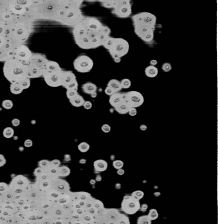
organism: Mouse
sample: Activated Pmel transgenic CD8+ T Cells